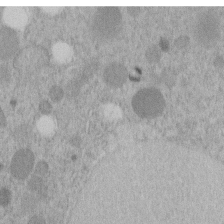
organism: C. elegans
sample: C. elegans embryo early stage